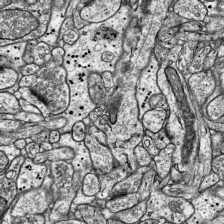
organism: Mouse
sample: Visual Cortex